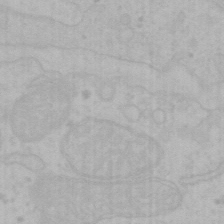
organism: Mouse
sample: Choroid plexus